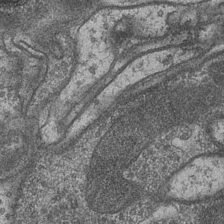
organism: Drosophila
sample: Optic medulla